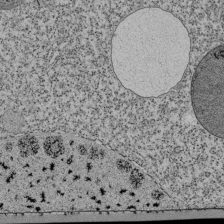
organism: Tetrahymena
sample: Cilia in tetrahymena